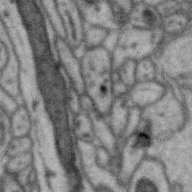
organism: Zebra finch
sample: Brain